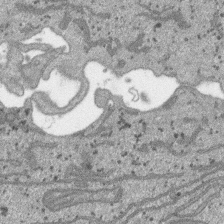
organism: Human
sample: Lung epithelial cells infected with SARS-CoV-2